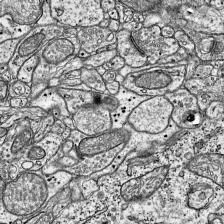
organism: Mouse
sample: Visual Cortex